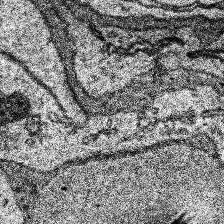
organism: Human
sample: Temporal Lobe